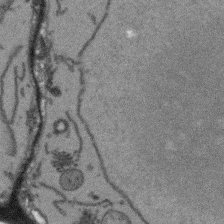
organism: Arabidopsis thaliana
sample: Root tip